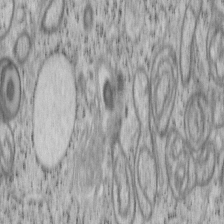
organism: Human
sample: HeLa cells